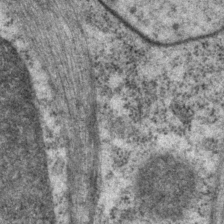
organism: P. pacificus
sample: Pharynx